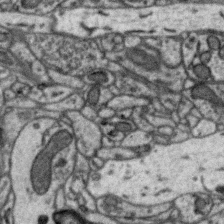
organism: Zebra finch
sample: Brain